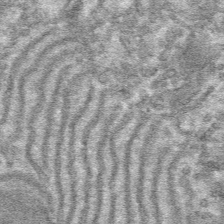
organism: Mouse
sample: Mouse hepatocytes